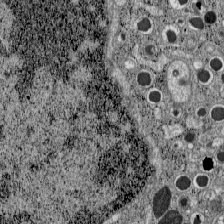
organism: C57BL Mouse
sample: Pancreatic islet